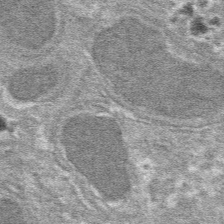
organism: Mouse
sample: Mouse hepatocytes